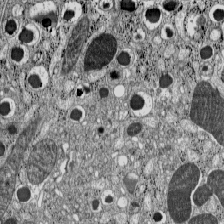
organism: C57BL Mouse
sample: Pancreatic islet